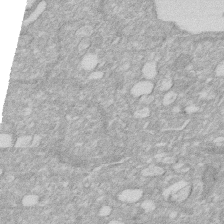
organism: Human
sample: HIV infected U937 cells